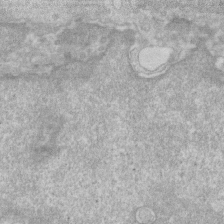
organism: Human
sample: Fibroblast cells